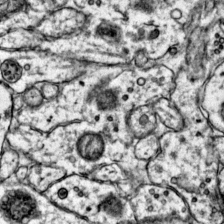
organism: Mouse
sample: Primary visual cortex